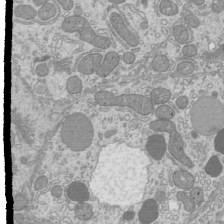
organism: Mouse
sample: Cilia; mouse epididymis